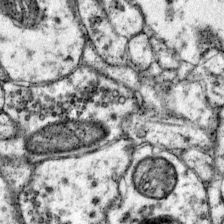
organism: Mouse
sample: Primary visual cortex